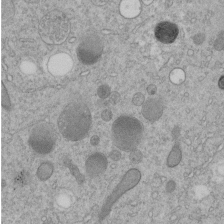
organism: C. elegans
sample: C. elegans embryo early stage